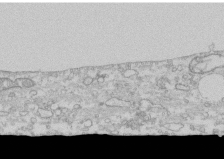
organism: Human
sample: CRL-1474